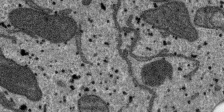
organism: Human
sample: Lung epithelial cells, uninfected (mock) control